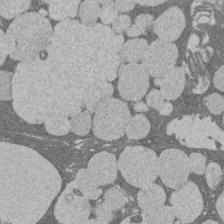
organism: Rat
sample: Salivary granule